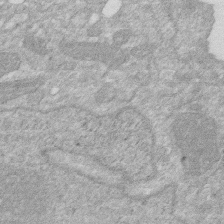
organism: Human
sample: HIV infected U937 cells